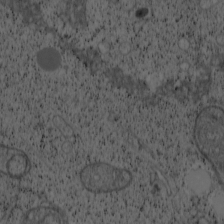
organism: African green monkey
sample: COS-7 cells